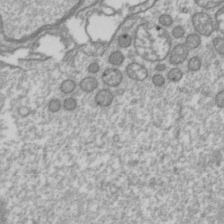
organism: Drosophila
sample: Cell division; meiosis; drosophila spermatocytes